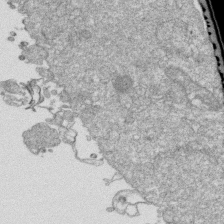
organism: Human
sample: HeLa cell HIV synapse